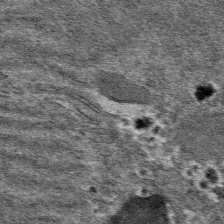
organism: Mouse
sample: Mouse hepatocytes